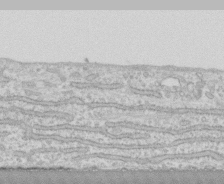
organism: Human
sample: CRL-1474